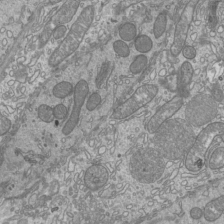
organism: Mouse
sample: Cilia; mouse epididymis